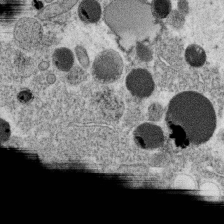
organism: C. elegans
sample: C. elegans oocyte; sperm cells